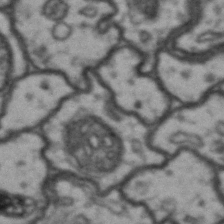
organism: Drosophila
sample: Brain